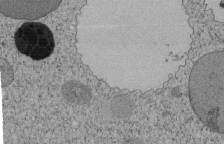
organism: Tetrahymena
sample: Cilia in tetrahymena